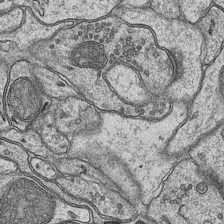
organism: Mouse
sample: CA1 Hippocampus